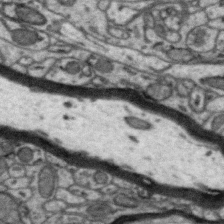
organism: Zebra finch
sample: Brain